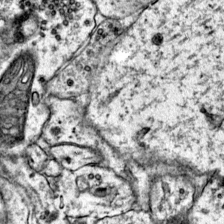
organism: Mouse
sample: Primary visual cortex